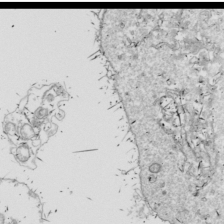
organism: Drosophila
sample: Cell division; meiosis; drosophila spermatocytes